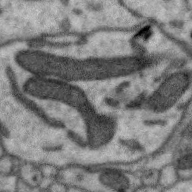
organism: Zebra finch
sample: Brain